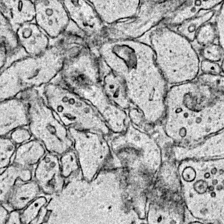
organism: Mouse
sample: Primary visual cortex